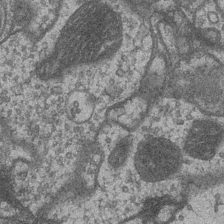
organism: Drosophila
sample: Optic medulla